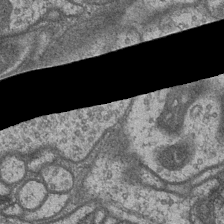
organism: Drosophila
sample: Optic medulla